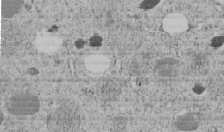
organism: C. elegans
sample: C. elegans embryo early stage